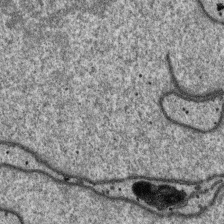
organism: Human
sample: Lung epithelial cells, uninfected (mock) control